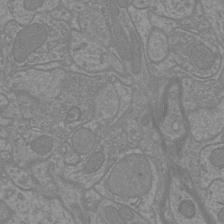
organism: Mouse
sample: Cortical neurons